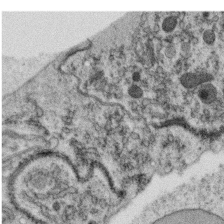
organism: C. elegans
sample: C. elegans oocyte; sperm cells